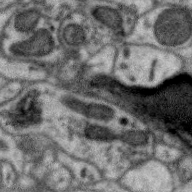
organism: Zebra finch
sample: Brain